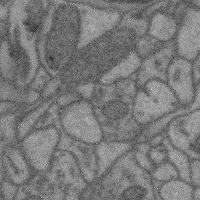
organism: Mouse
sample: Cerebral cortex